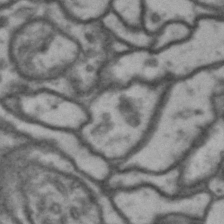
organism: Drosophila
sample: Brain